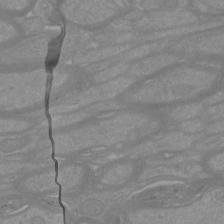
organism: Mouse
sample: Cortical neurons